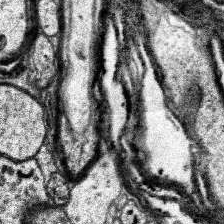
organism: Human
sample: Temporal Lobe